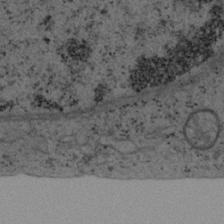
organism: Human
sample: HeLa cells